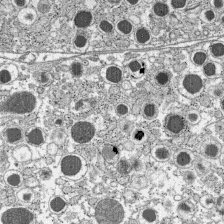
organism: C57BL Mouse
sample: Pancreatic islet